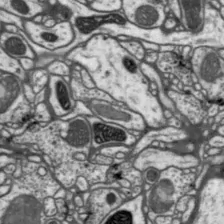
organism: Drosophila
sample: Protocerebral bridge